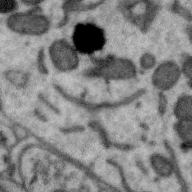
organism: Zebra finch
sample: Brain